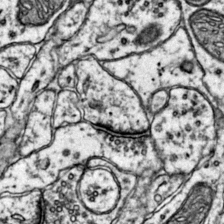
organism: Mouse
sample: Primary visual cortex